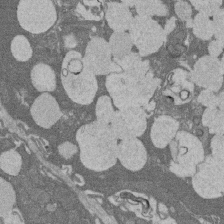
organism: Rat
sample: Salivary granule